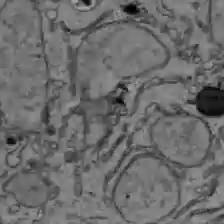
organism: C57BL Mouse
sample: Liver